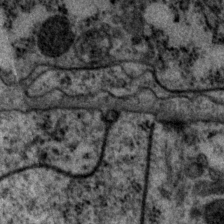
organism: P. pacificus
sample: Pharynx